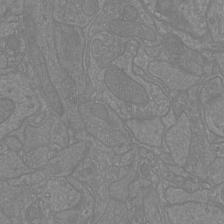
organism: Mouse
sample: Cortical neurons